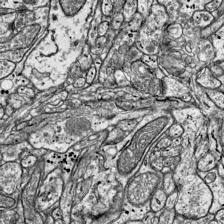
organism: Mouse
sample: Visual Cortex